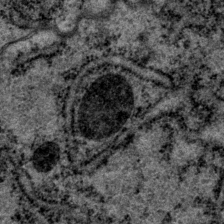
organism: P. pacificus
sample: Pharynx